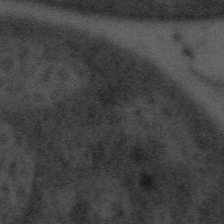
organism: Tuwongella immobilis